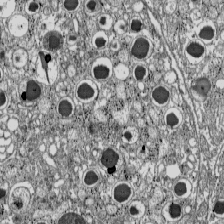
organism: C57BL Mouse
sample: Pancreatic islet